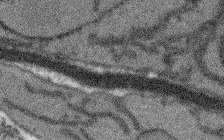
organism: Arabidopsis thaliana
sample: Root tip